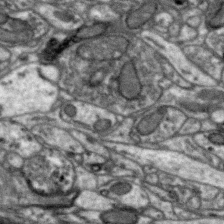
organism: Zebra finch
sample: Brain